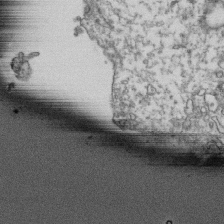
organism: Human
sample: Activated Jurkat CD4+ T cells